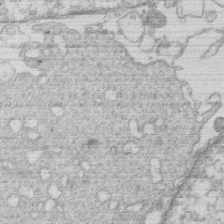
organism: Human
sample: Macrophage cells